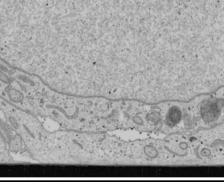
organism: Human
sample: Mitochondria in U2OS cells